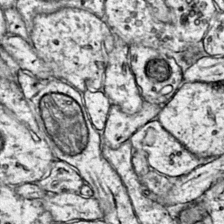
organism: Mouse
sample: Primary visual cortex